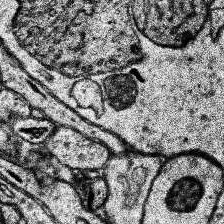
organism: Human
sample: Temporal Lobe